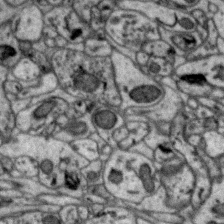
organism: Zebra finch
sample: Brain